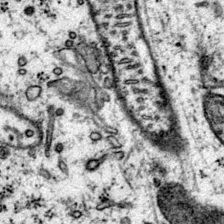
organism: Mouse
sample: Primary visual cortex